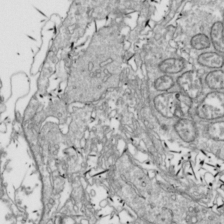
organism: Drosophila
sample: Cell division; meiosis; drosophila spermatocytes